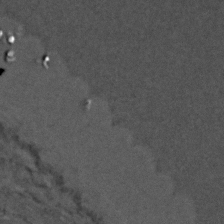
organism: C. elegans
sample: C. elegans embryo